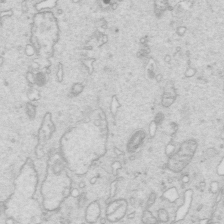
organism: Mouse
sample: Multiciliated cells